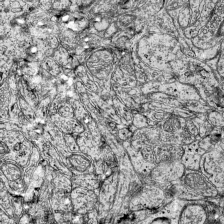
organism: Mouse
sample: Visual Cortex